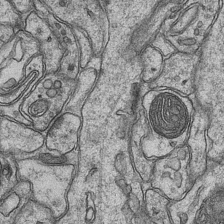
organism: Mouse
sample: CA1 Hippocampus